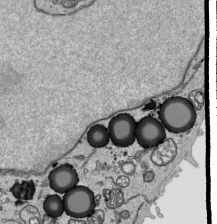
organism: Human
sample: Mitochondria in HCT116 cells